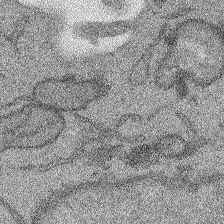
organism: Human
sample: HeLa cells